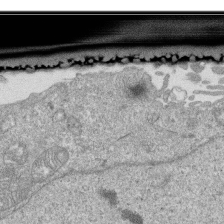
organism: Human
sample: HeLa cell HIV synapse